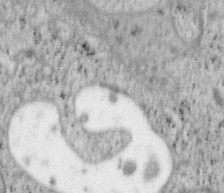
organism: Mouse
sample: OT-I killer T cells with ID8 ovarian cancer cells